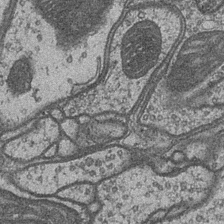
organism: Drosophila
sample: Optic medulla